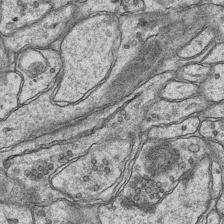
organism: Mouse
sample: CA1 Hippocampus